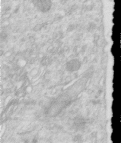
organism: Human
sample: Centriole in RPE cells